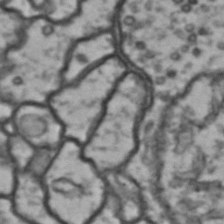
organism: Drosophila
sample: Brain